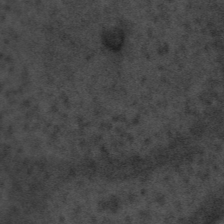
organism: Tuwongella immobilis